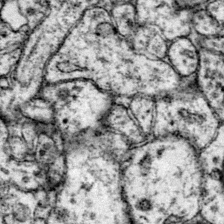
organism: Mouse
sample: Primary visual cortex